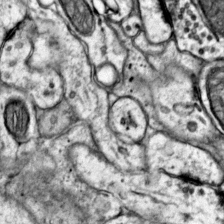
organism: Mouse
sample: Primary visual cortex